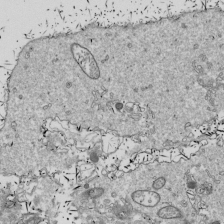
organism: Drosophila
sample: Cell division; meiosis; drosophila spermatocytes